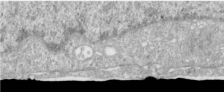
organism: Human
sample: Centriole in RPE cells